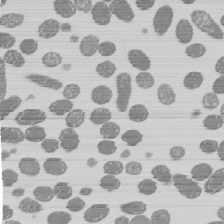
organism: E. coli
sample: Bacterial nucleoid